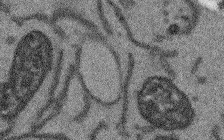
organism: Arabidopsis thaliana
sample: Root tip